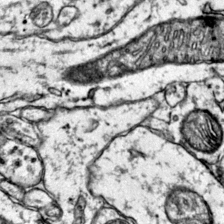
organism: Mouse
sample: Primary visual cortex